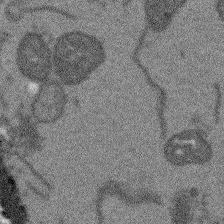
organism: Arabidopsis thaliana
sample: Root tip